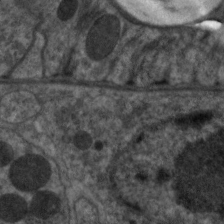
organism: C. elegans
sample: Pharynx